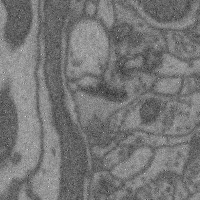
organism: Mouse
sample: Cerebral cortex